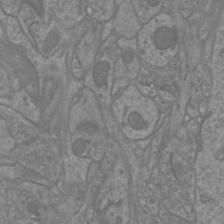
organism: Mouse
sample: Cortical neurons